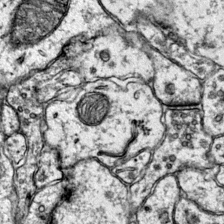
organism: Mouse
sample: Primary visual cortex